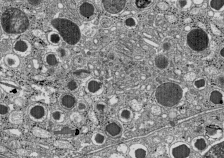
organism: C57BL Mouse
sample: Pancreatic islet